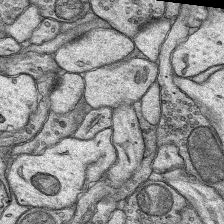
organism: Rat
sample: Hippocampus